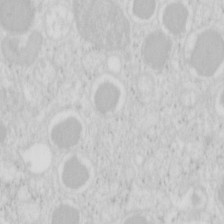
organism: Mouse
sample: Pancreas